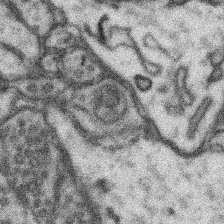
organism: Mouse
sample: Somatosensory cortex neuropil